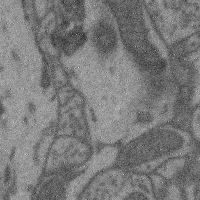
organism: Mouse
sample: Cerebral cortex